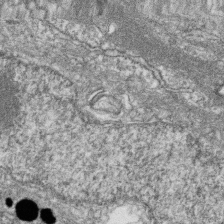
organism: Zebrafish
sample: Cilia; retinal pigment epithelium